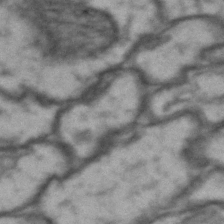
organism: Drosophila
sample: Brain